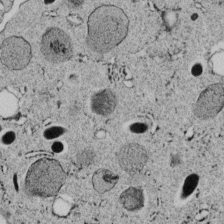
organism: C. elegans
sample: C. elegans embryo early stage